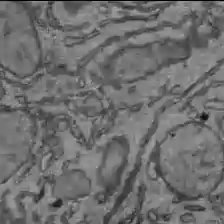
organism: C57BL Mouse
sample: Liver